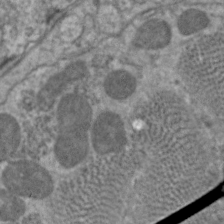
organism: C. elegans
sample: Pharynx